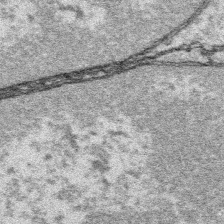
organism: Platynereis dumerilii